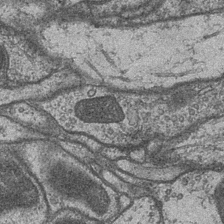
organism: Drosophila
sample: Optic medulla